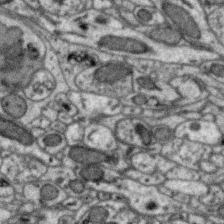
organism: Zebra finch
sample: Brain